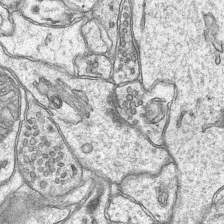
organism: Mouse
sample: CA1 Hippocampus